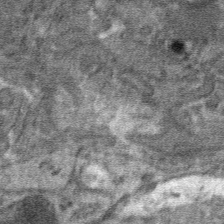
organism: Mouse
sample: Mouse hepatocytes